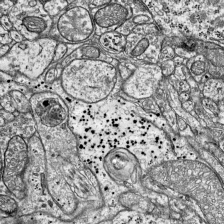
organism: Mouse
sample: Visual Cortex